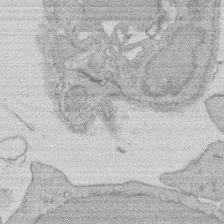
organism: Rat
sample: Salivary granule